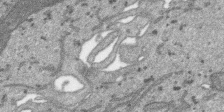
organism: Human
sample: Lung epithelial cells infected with SARS-CoV-2